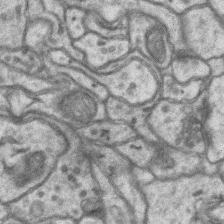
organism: Mouse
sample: CA1 Hippocampus